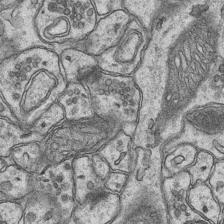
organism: Mouse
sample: CA1 Hippocampus